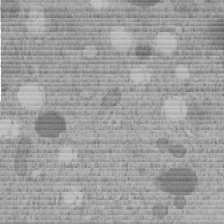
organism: C. elegans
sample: C. elegans embryo early stage